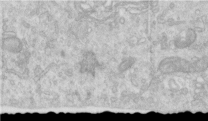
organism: Human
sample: Centriole in RPE cells